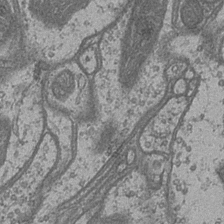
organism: Drosophila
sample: Optic medulla